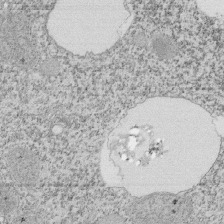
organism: Tetrahymena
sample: Cilia in tetrahymena